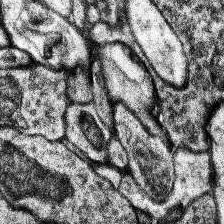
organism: Human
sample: Temporal Lobe